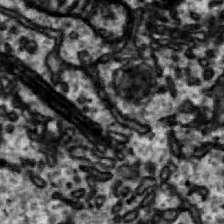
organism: Human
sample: HeLa cells